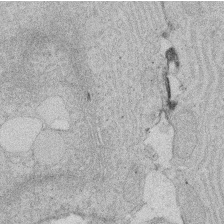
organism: Rat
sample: Salivary granule